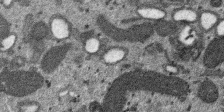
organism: Human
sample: Lung epithelial cells infected with SARS-CoV-2